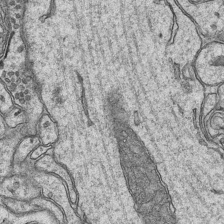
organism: Mouse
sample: CA1 Hippocampus